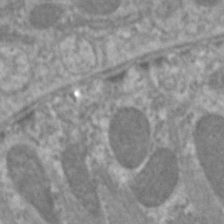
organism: C. elegans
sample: Pharynx